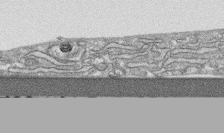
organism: Human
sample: CRL-1474